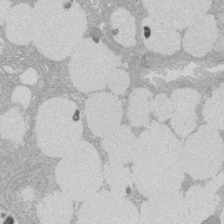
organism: Rat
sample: Salivary granule